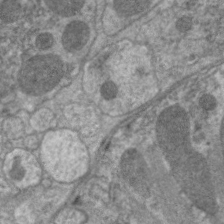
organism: C. elegans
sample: Pharynx